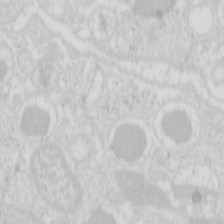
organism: Mouse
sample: Pancreas